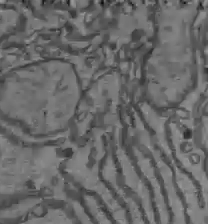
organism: C57BL Mouse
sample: Liver